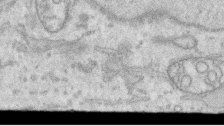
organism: Human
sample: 1205lu cells